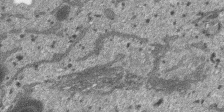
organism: Human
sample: Lung epithelial cells infected with SARS-CoV-2